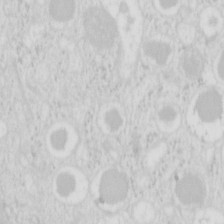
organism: Mouse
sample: Pancreas